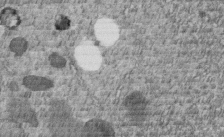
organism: C. elegans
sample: C. elegans embryo early stage